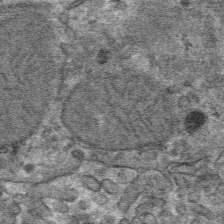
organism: Mouse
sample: Mouse hepatocytes